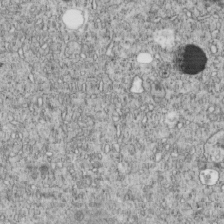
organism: C. elegans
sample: C. elegans embryo early stage